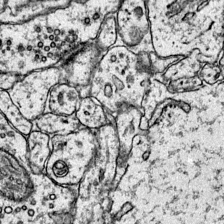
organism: Mouse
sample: Primary visual cortex